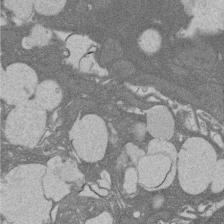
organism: Rat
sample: Salivary granule